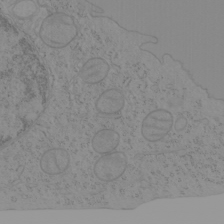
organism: Human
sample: HeLa cells